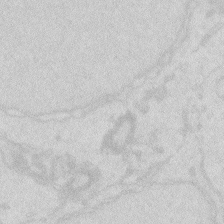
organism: Zebrafish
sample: Macrophage